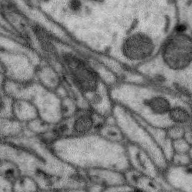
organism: Zebra finch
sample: Brain